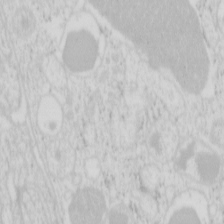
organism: Mouse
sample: Pancreas